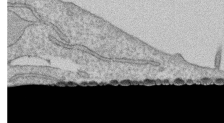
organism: Human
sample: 1205lu cells